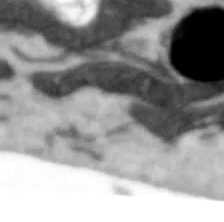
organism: Human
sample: SH-SY5Y cells